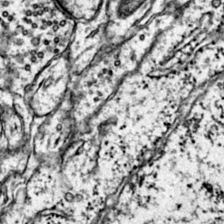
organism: Mouse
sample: Primary visual cortex